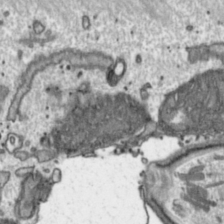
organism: Toxoplasma gondii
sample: Parasites in a vacuole inside a host cell